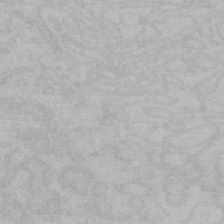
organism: Mouse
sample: Choroid plexus